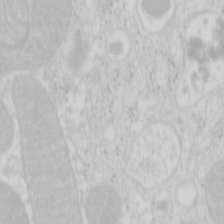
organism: Mouse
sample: Pancreas